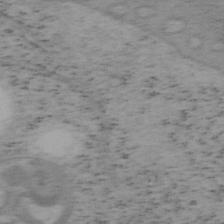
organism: Mouse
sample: OT-I killer T cells with ID8 ovarian cancer cells